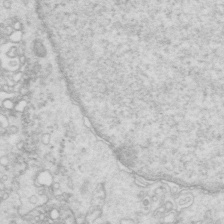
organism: Mouse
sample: Multiciliated cells